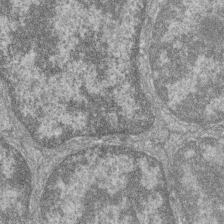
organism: Zebrafish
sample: Cilia; retinal pigment epithelium